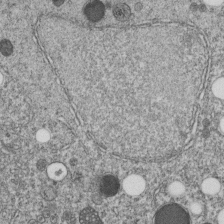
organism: C. elegans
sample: C. elegans embryo early stage